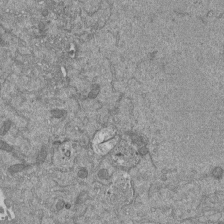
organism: Mouse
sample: ED-1 cell nuclei; centrioles